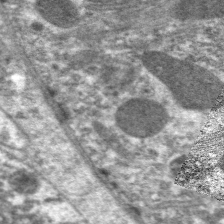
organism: C. elegans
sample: Pharynx